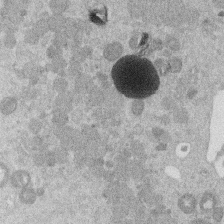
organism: Mouse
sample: Dividing mouse embryo 1 cell stage